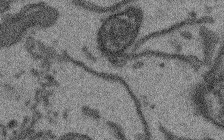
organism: Arabidopsis thaliana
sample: Root tip